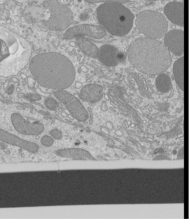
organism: Mouse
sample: Cilia; mouse epididymis